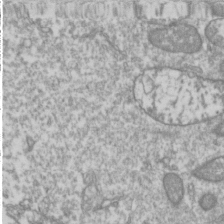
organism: Drosophila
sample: Cell division; meiosis; drosophila spermatocytes